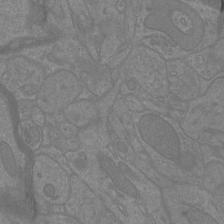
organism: Mouse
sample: Cortical neurons